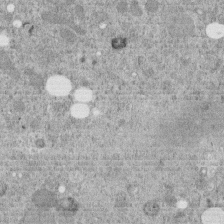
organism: C. elegans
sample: C. elegans embryo early stage